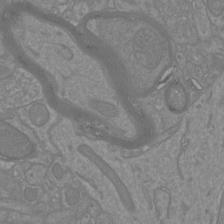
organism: Mouse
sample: Cortical neurons